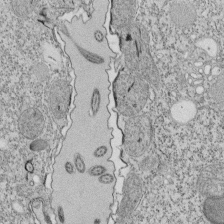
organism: Tetrahymena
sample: Cilia in tetrahymena